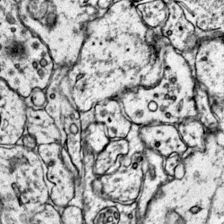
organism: Mouse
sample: Primary visual cortex